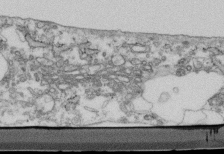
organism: Mouse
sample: Cilia; retinal pigment epithelium